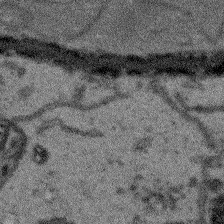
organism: Arabidopsis thaliana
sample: Root tip